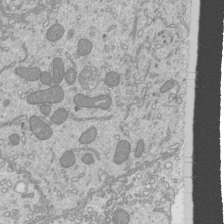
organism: Mouse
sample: Cilia; mouse epididymis